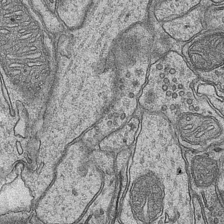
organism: Mouse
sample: CA1 Hippocampus